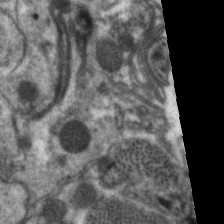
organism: C. elegans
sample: Pharynx